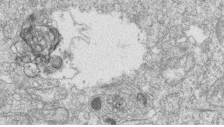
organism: Human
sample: HeLa cell HIV synapse